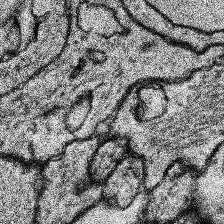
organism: Human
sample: Temporal Lobe